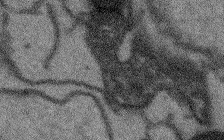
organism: Arabidopsis thaliana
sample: Root tip